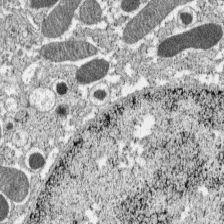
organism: C57BL Mouse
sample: Pancreatic islet